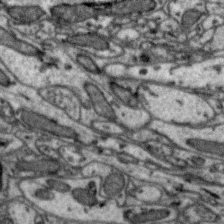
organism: Zebra finch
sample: Brain